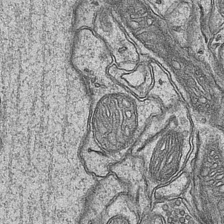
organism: Mouse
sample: CA1 Hippocampus